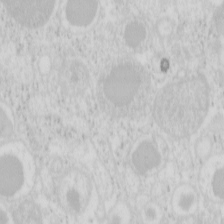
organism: Mouse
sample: Pancreas